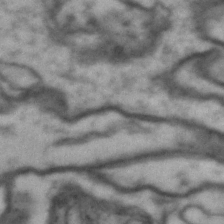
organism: Drosophila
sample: Brain